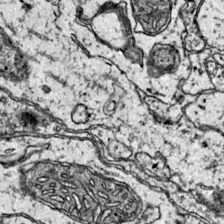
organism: Mouse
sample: Primary visual cortex